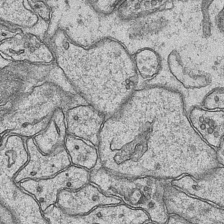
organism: Mouse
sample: CA1 Hippocampus